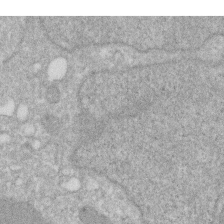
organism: Human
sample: HIV infected U937 cells